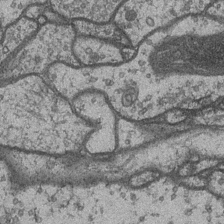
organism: Drosophila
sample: Optic medulla